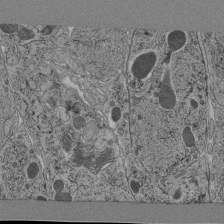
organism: C. elegans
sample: C. elegans pharynx